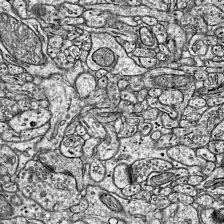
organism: Mouse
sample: Visual Cortex